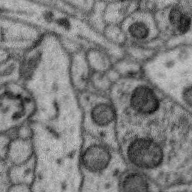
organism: Zebra finch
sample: Brain